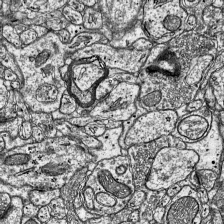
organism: Mouse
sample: Visual Cortex